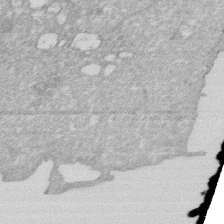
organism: Human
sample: HIV infected U937 cells